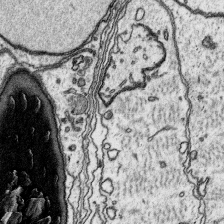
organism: Platynereis dumerilii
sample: Parapodia